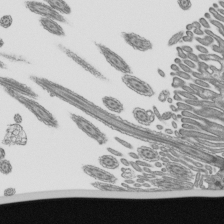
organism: Mouse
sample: Mouse epididymis efferent ductule cilia